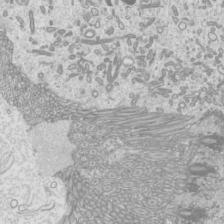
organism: Mouse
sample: Cilia; mouse epididymis